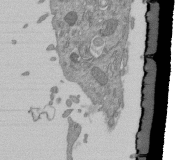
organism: Mouse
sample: ED-1 cell nuclei; centrioles